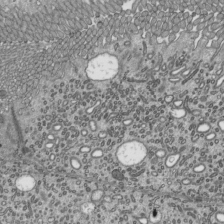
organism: Mouse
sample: Mouse epididymis efferent ductule cilia